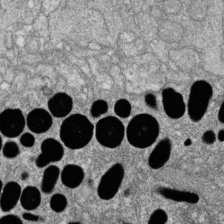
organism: Zebrafish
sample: Cilia; retinal pigment epithelium